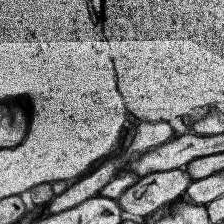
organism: Human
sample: Temporal Lobe